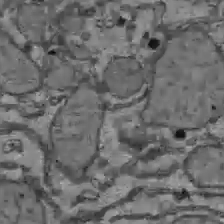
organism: C57BL Mouse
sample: Liver